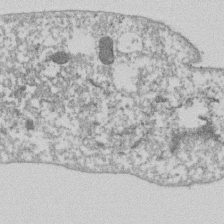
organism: Dictyostelium discoideum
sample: Dictyostelium multivesicular bodies